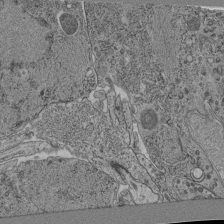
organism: C. elegans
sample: C. elegans pharynx